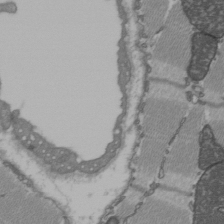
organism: C57BL Mouse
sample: Heart